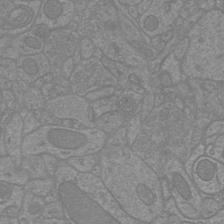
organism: Mouse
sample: Cortical neurons